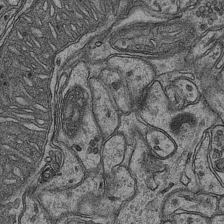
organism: Mouse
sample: CA1 Hippocampus